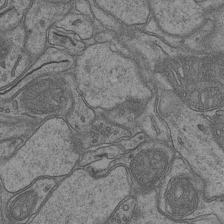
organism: Mouse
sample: CA1 Hippocampus